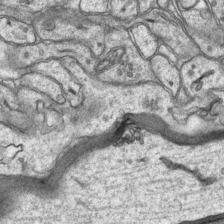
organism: Mouse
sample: CA1 Hippocampus